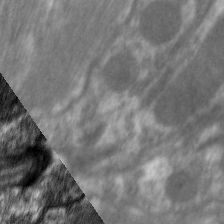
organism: C. elegans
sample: Pharynx